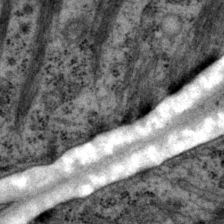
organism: P. pacificus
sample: Pharynx